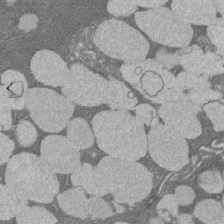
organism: Rat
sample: Salivary granule